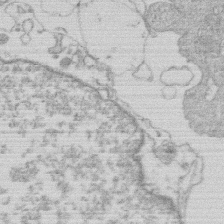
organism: Human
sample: Macrophage cells